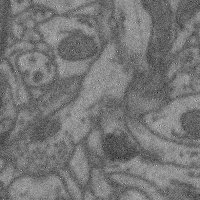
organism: Mouse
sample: Cerebral cortex